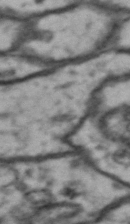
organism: Drosophila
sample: Brain